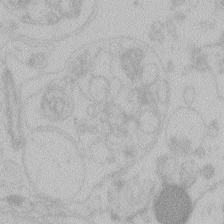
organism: Zebrafish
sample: Macrophage infected with Toxoplasma gondii